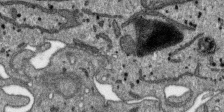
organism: Human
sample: Lung epithelial cells, uninfected (mock) control